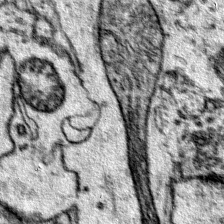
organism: Mouse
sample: Primary visual cortex